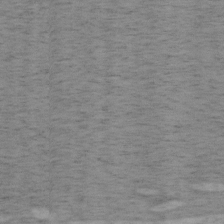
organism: Mouse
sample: OT-I killer T cells with ID8 ovarian cancer cells